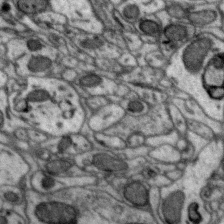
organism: Zebra finch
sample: Brain